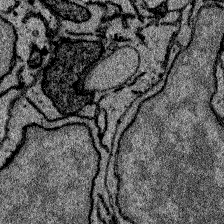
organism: Zebrafish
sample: Larval olfactory bulb